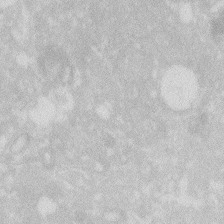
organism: Zebrafish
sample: Macrophage